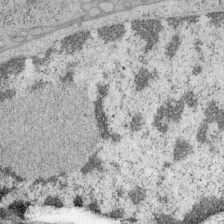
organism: Mouse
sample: OT-I killer T cells with ID8 ovarian cancer cells